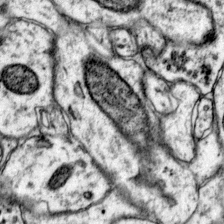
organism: Mouse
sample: Primary visual cortex